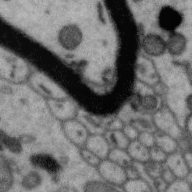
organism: Zebra finch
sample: Brain